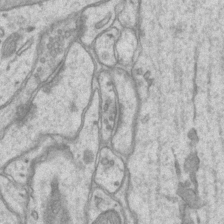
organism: Mouse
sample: CA1 Hippocampus